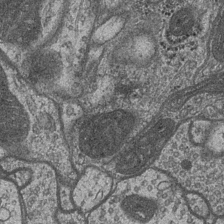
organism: Drosophila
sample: Optic medulla